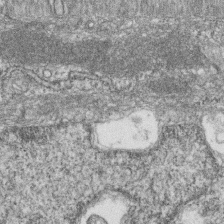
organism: Zebrafish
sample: Cilia; retinal pigment epithelium